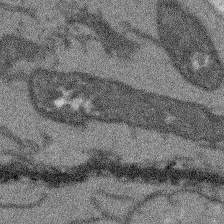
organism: Arabidopsis thaliana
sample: Root tip